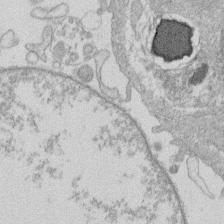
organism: Human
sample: Macrophage cells